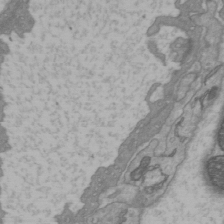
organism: C57BL Mouse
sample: Heart